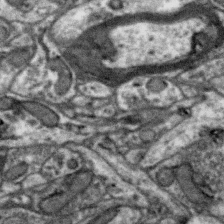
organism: Zebra finch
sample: Brain